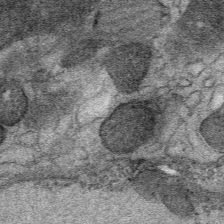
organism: Mouse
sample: Mouse Salivary gland